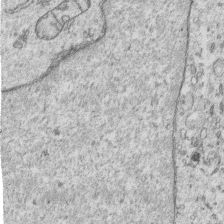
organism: Human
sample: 1205lu cells